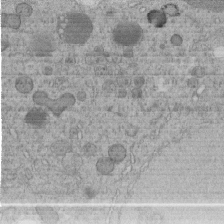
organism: C. elegans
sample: C. elegans embryo early stage